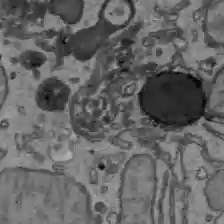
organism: C57BL Mouse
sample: Liver